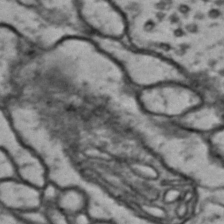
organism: Drosophila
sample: Brain